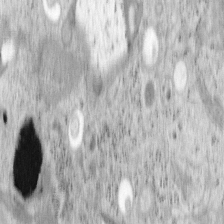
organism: Human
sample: HeLa cells